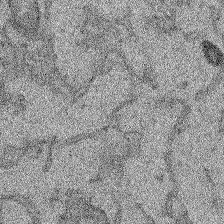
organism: Human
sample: HeLa cells